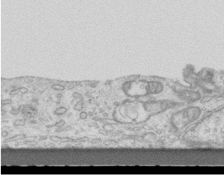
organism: Mouse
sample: Centriole in ependymal cells